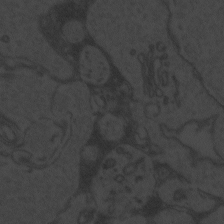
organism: Zebrafish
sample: Macrophage infected with Toxoplasma gondii